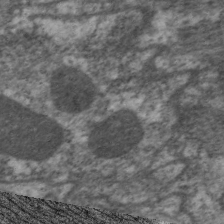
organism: C. elegans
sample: Pharynx